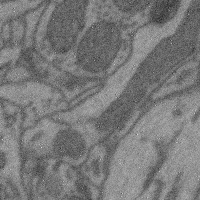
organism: Mouse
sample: Cerebral cortex